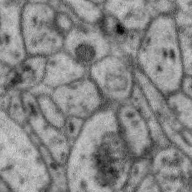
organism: Zebra finch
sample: Brain